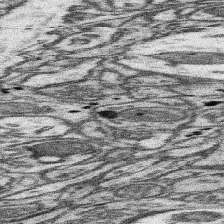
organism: Mouse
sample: Somatosensory cortex neuropil